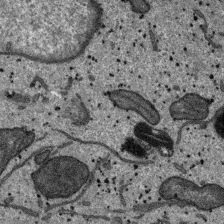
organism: Human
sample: Lung epithelial cells, uninfected (mock) control